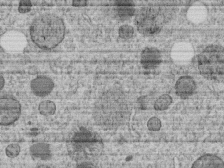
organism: C. elegans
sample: C. elegans embryo early stage